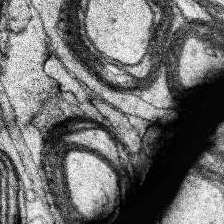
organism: Human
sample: Temporal Lobe